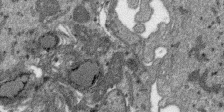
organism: Human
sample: Lung epithelial cells infected with SARS-CoV-2